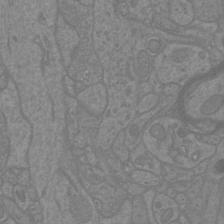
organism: Mouse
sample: Cortical neurons